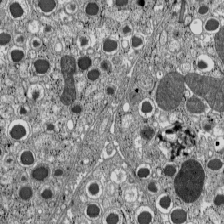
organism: C57BL Mouse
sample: Pancreatic islet